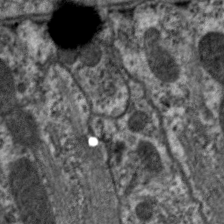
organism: C. elegans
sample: Pharynx